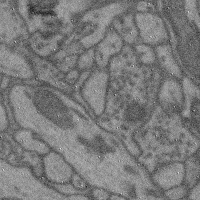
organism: Mouse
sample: Cerebral cortex